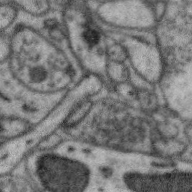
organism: Zebra finch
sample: Brain